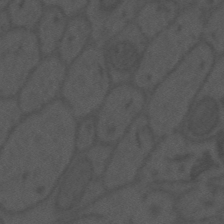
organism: Mouse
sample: Suprachiasmatic nucleus